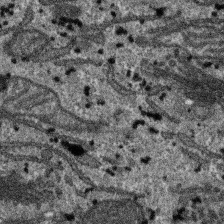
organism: Human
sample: Lung epithelial cells infected with SARS-CoV-2